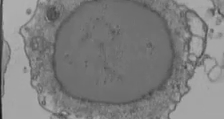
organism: Human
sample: Jurkat E6-1 and CD4 cells